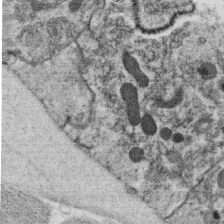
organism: C. elegans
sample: C. elegans oocyte; sperm cells